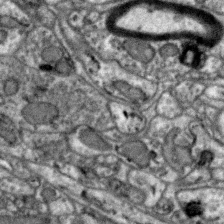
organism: Zebra finch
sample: Brain